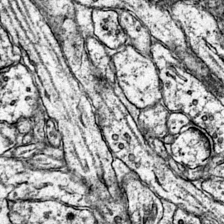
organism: Mouse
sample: Primary visual cortex